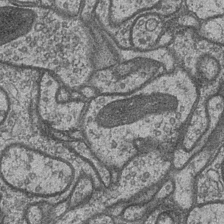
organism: Drosophila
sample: Optic medulla